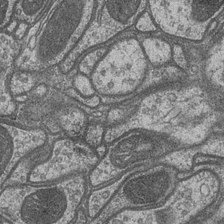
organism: Drosophila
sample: Optic medulla